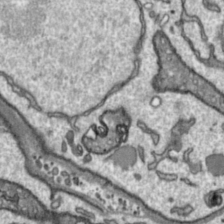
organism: Toxoplasma gondii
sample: Parasites in a vacuole inside a host cell